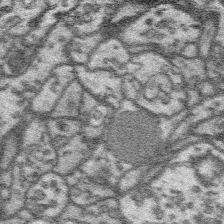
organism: Platynereis dumerilii